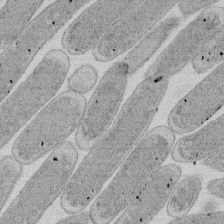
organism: E. coli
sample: Bacterial nucleoid